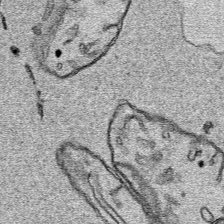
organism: Human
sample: Mitochondria in HCT116 cells